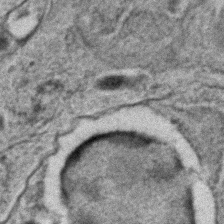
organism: C. elegans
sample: C. elegans embryo